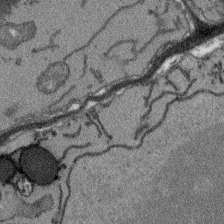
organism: Arabidopsis thaliana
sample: Root tip